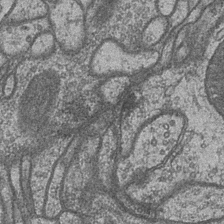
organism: Drosophila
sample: Optic medulla